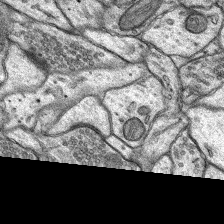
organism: Rat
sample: Hippocampus